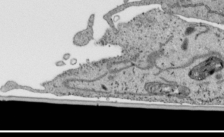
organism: Human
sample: Mitochondria in HCT116 cells